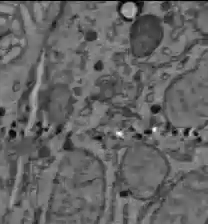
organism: C57BL Mouse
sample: Liver